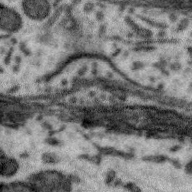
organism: Zebra finch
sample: Brain